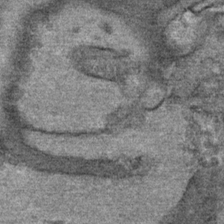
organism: Mouse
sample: Mouse Salivary gland